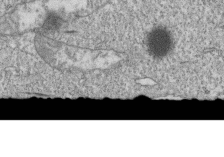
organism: Human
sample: HeLa cell HIV synapse